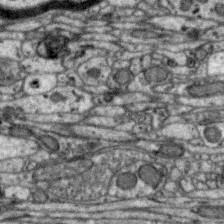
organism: Zebra finch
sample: Brain